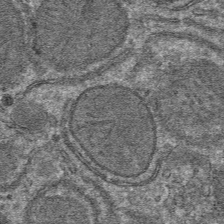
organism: Mouse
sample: Mouse hepatocytes